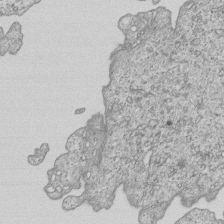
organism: Human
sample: MDA-MB-231 cells